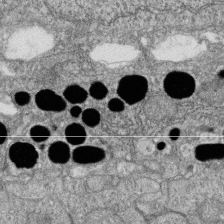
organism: Zebrafish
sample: Cilia; retinal pigment epithelium